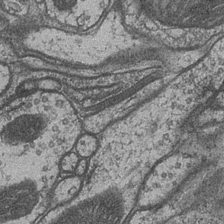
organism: Drosophila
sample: Optic medulla